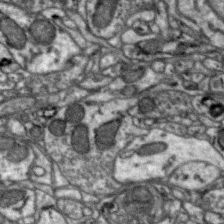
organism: Zebra finch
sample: Brain